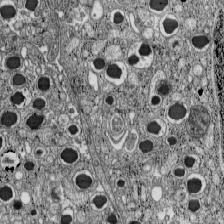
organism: C57BL Mouse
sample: Pancreatic islet